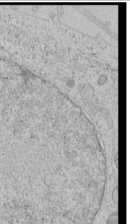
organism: Human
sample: Mitochondria in HCT116 cells